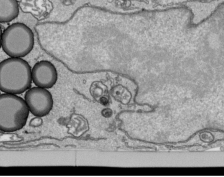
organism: Human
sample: Mitochondria in HCT116 cells